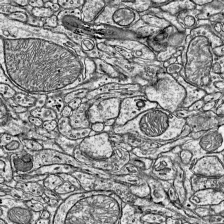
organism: Mouse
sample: Visual Cortex